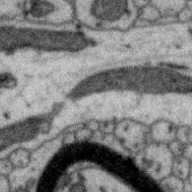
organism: Zebra finch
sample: Brain